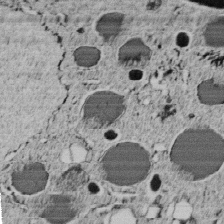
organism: C. elegans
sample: C. elegans embryo early stage